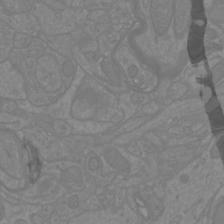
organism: Mouse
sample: Cortical neurons